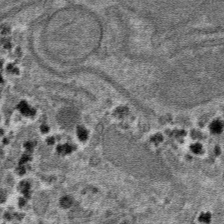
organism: Mouse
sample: Mouse hepatocytes